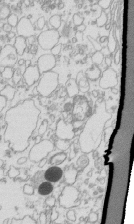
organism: Mouse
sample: Macrophages